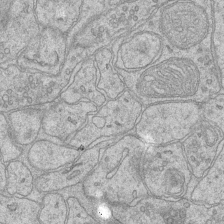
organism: Mouse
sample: CA1 Hippocampus